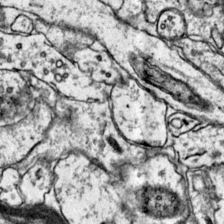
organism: Mouse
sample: Primary visual cortex